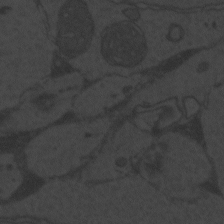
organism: Zebrafish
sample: Macrophage infected with Toxoplasma gondii